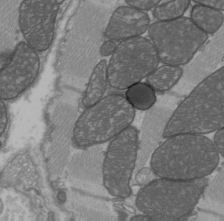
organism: C57BL Mouse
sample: Heart